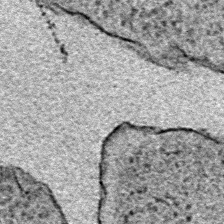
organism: E. coli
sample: E. Coli Bacteria